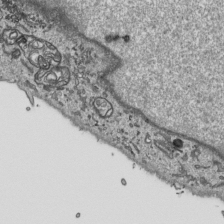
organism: Human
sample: Mitochondria in HCT116 cells